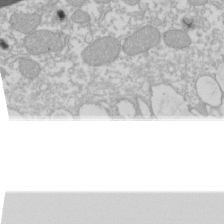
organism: Xenopus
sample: Cilia; centrioles in frog embryo cells